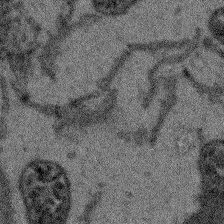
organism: Arabidopsis thaliana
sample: Root tip